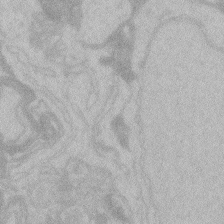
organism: Zebrafish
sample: Macrophage infected with Toxoplasma gondii